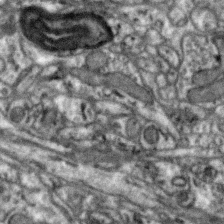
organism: Zebra finch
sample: Brain